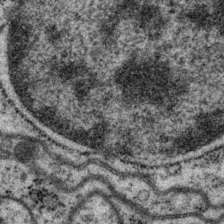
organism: P. pacificus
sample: Pharynx